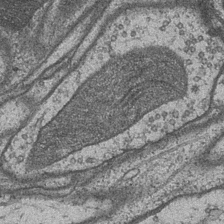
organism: Drosophila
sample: Optic medulla